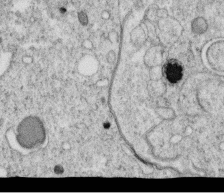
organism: C. elegans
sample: C. elegans oocyte; sperm cells